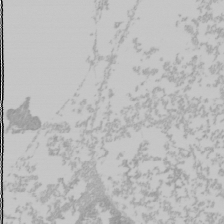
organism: Mouse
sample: Cancer cell death in ED-1 cells